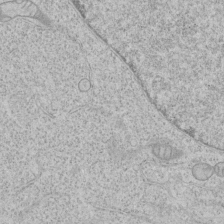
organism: Human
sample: Mitochondria in HCT116 cells